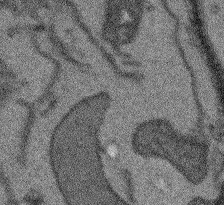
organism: Arabidopsis thaliana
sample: Root tip